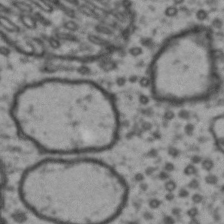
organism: Drosophila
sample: Brain